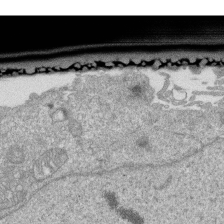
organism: Human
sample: HeLa cell HIV synapse